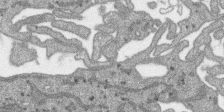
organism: Human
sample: Lung epithelial cells infected with SARS-CoV-2